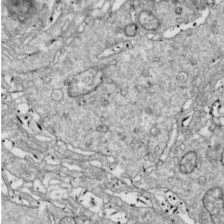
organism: Drosophila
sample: Cell division; meiosis; drosophila spermatocytes